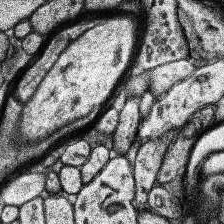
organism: Human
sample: Temporal Lobe